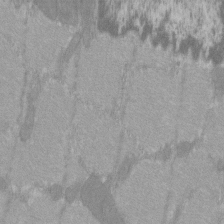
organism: C57BL Mouse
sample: Tibialis anterior muscle cell